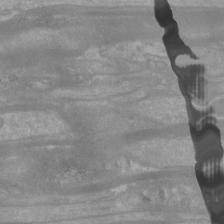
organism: Mouse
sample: Cortical neurons